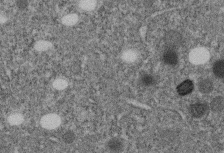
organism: C. elegans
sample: C. elegans embryo early stage